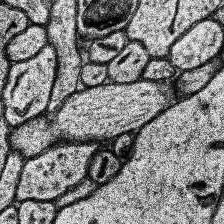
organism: Human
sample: Temporal Lobe